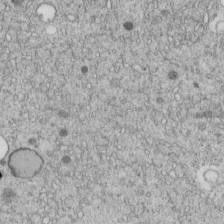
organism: C. elegans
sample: C. elegans embryo early stage